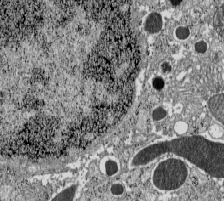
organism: C57BL Mouse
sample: Pancreatic islet